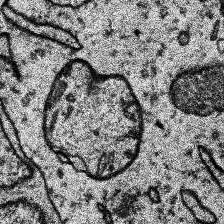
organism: Human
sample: Temporal Lobe